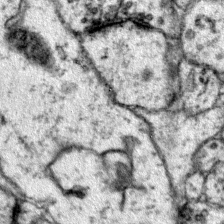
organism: Mouse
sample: Primary visual cortex